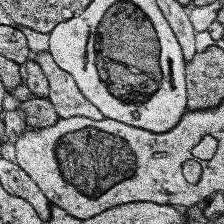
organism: Human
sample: Temporal Lobe